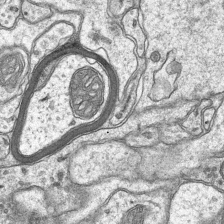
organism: Mouse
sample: CA1 Hippocampus